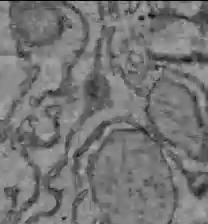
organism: C57BL Mouse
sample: Liver